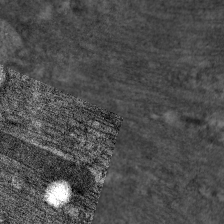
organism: C. elegans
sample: Pharynx